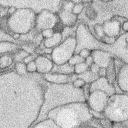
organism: Rabbit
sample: Retina